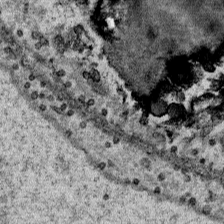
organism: Mouse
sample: Mouse Salivary gland